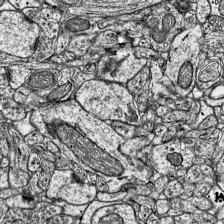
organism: Mouse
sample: Visual Cortex